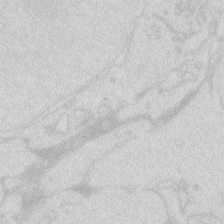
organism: Zebrafish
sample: Macrophage